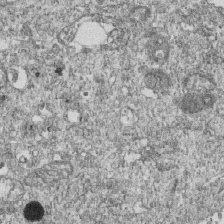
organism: Human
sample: HeLa cell HIV synapse